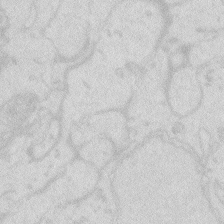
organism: Zebrafish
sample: Macrophage